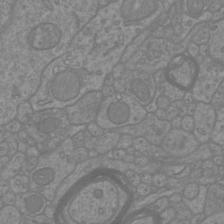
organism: Mouse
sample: Cortical neurons